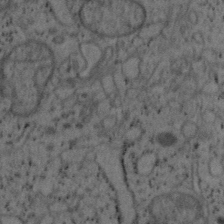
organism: Human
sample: HeLa cells